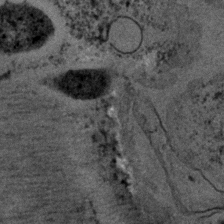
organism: C. elegans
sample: C. elegans embryo